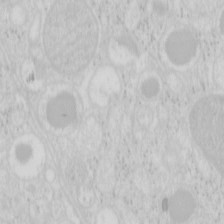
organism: Mouse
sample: Pancreas